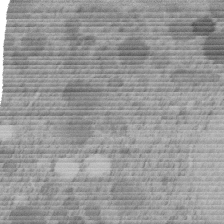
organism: C. elegans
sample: C. elegans embryo early stage